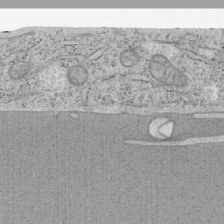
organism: Human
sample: HeLa cells